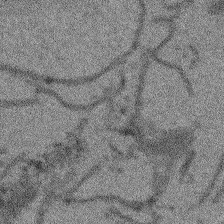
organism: Arabidopsis thaliana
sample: Root tip